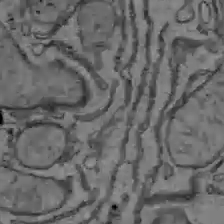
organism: C57BL Mouse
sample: Liver